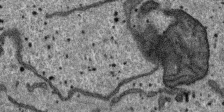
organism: Human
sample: Lung epithelial cells, uninfected (mock) control